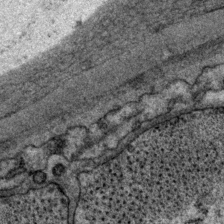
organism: P. pacificus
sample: Pharynx